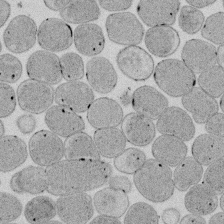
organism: E. coli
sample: Bacterial nucleoid